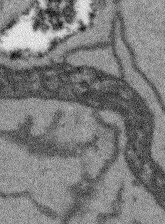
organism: Arabidopsis thaliana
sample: Root tip